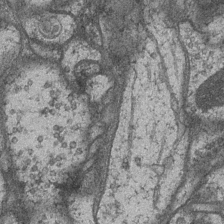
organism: Drosophila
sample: Optic medulla